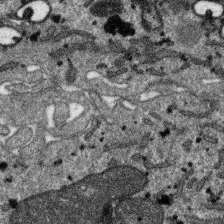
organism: Human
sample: Lung epithelial cells infected with SARS-CoV-2